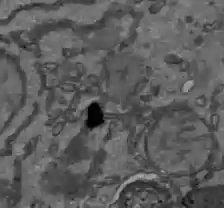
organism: C57BL Mouse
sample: Liver